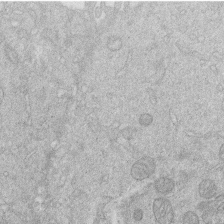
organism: Human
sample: Macrophage cells